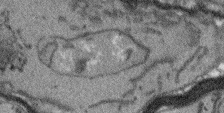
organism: Arabidopsis thaliana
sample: Root tip